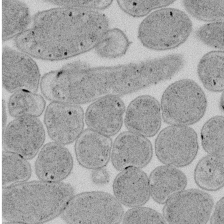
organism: E. coli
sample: Bacterial nucleoid